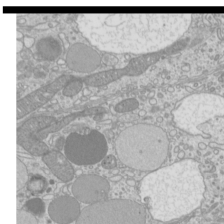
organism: Mouse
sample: Cilia; mouse epididymis